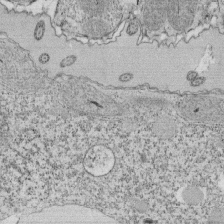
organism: Tetrahymena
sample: Cilia in tetrahymena